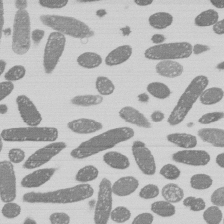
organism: E. coli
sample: Bacterial nucleoid